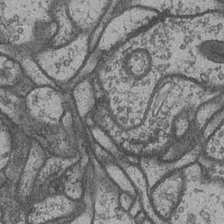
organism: Drosophila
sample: Optic medulla